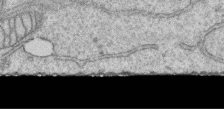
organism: Human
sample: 1205lu cells